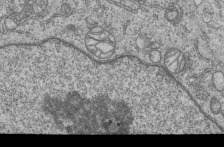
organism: Human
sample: MDA-MB-231 cells